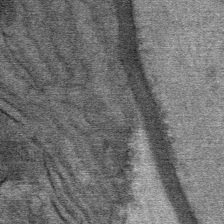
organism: Mouse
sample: Mouse Salivary gland